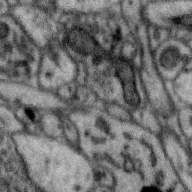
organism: Zebra finch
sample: Brain